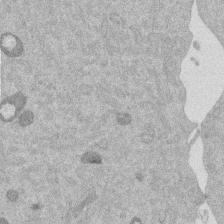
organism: Mouse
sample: Dividing mouse embryo 1 cell stage